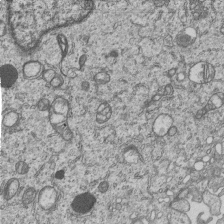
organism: Human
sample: MDA-MB-231 cells